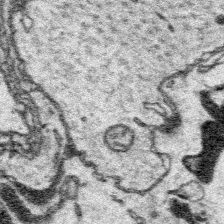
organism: Platynereis dumerilii